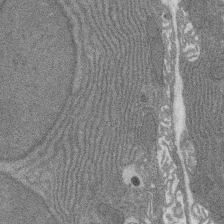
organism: Rat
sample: Salivary granule